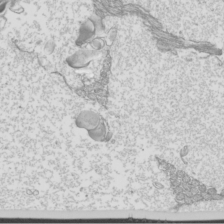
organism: Mouse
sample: Cilia; mouse epididymis